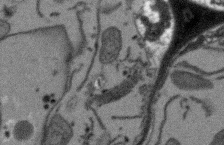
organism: Arabidopsis thaliana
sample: Root tip